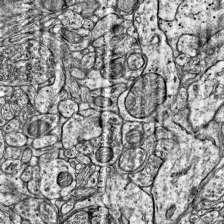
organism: Mouse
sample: Visual Cortex